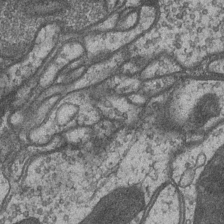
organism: Drosophila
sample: Optic medulla